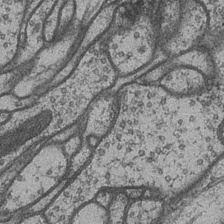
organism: Drosophila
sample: Optic medulla